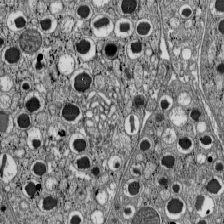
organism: C57BL Mouse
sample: Pancreatic islet